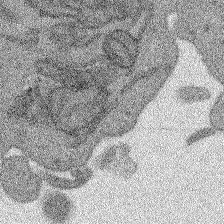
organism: Human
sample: HeLa cells